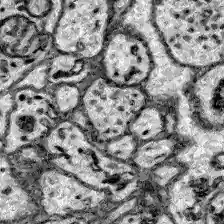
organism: Zebrafish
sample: Brain